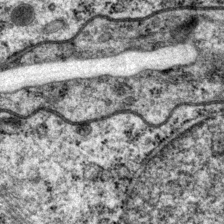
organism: P. pacificus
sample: Pharynx